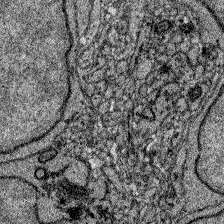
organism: Zebrafish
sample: Larval olfactory bulb